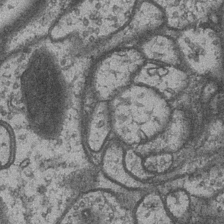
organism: Drosophila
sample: Optic medulla